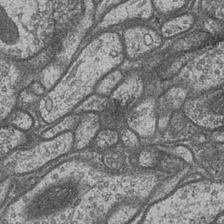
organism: Drosophila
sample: Optic medulla